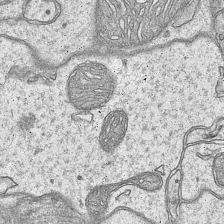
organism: Mouse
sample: CA1 Hippocampus